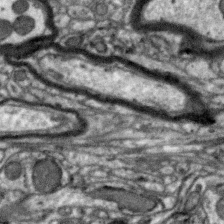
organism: Zebra finch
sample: Brain